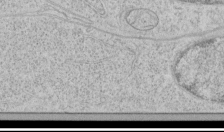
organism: Human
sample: Mitochondria in HCT116 cells